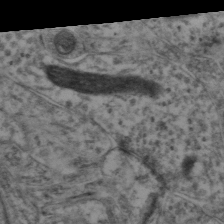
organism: Mouse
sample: Neocortex